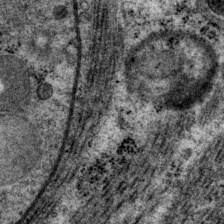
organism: P. pacificus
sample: Pharynx